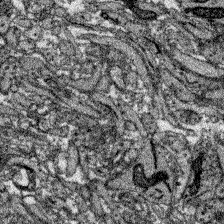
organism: Zebrafish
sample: Larval olfactory bulb